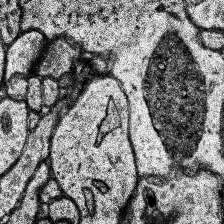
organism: Human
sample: Temporal Lobe